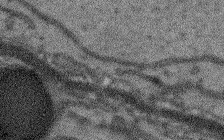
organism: Arabidopsis thaliana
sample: Root tip